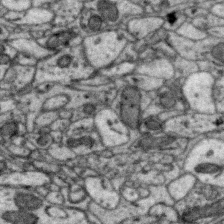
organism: Zebra finch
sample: Brain